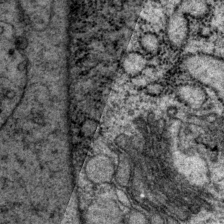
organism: P. pacificus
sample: Pharynx